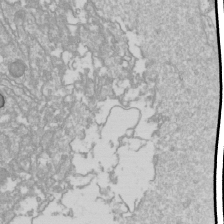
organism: Drosophila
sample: Cell division; meiosis; drosophila spermatocytes